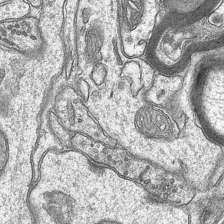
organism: Mouse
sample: CA1 Hippocampus